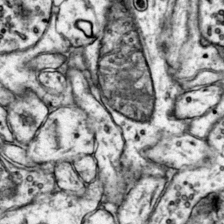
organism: Mouse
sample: Primary visual cortex